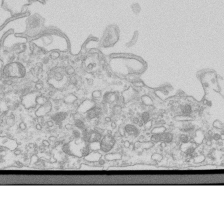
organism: Mouse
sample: Macrophages